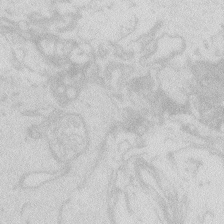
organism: Zebrafish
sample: Macrophage